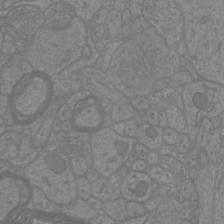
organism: Mouse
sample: Cortical neurons